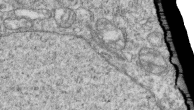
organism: Human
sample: HeLa cell HIV synapse